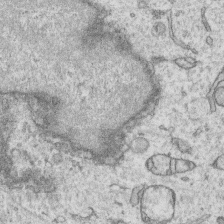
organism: Human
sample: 1205lu cells